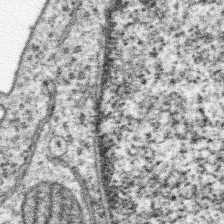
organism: Human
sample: HeLa cells